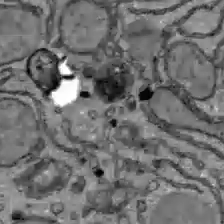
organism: C57BL Mouse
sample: Liver